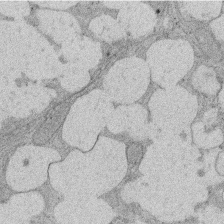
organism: Rat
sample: Salivary granule